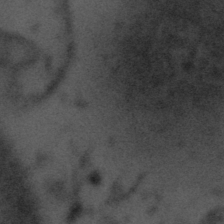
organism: Tuwongella immobilis